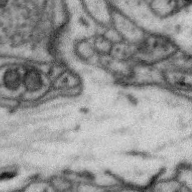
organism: Zebra finch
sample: Brain